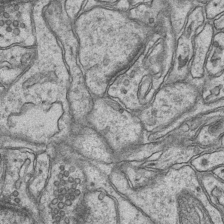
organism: Mouse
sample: CA1 Hippocampus